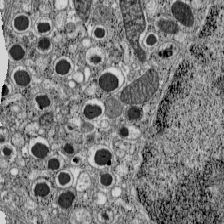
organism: C57BL Mouse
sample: Pancreatic islet